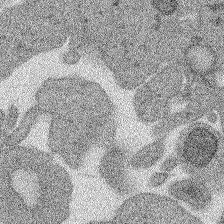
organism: Human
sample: HeLa cells